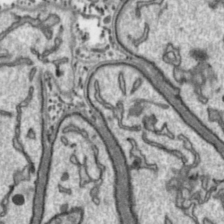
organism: Toxoplasma gondii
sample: Parasites in a vacuole inside a host cell